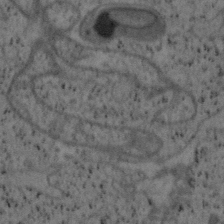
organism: Human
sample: HeLa cells